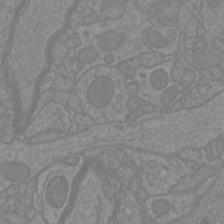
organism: Mouse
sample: Cortical neurons